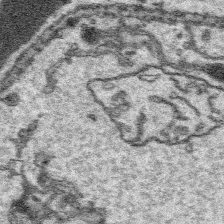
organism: Platynereis dumerilii